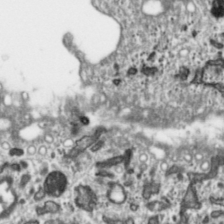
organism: Toxoplasma gondii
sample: Parasites in a vacuole inside a host cell